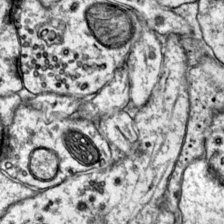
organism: Mouse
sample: Primary visual cortex